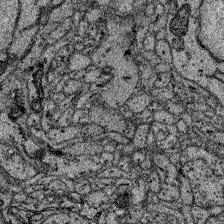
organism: Zebrafish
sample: Larval olfactory bulb